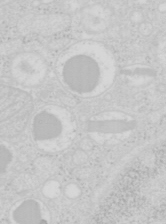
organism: Mouse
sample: Pancreas